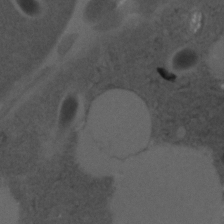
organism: C. elegans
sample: C. elegans embryo